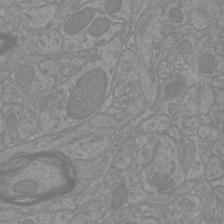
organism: Mouse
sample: Cortical neurons